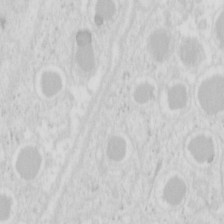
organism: Mouse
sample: Pancreas